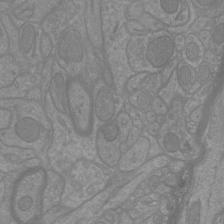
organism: Mouse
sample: Cortical neurons